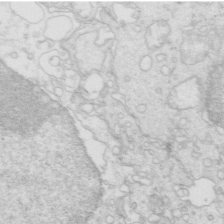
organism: Mouse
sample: Multiciliated cells